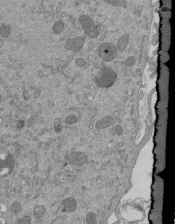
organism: Mouse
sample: ED-1 cell nuclei; centrioles